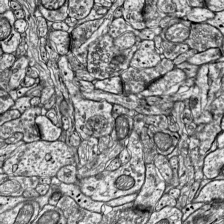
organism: Mouse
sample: Visual Cortex